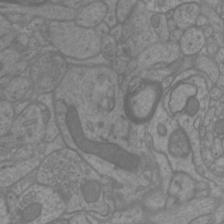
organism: Mouse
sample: Cortical neurons